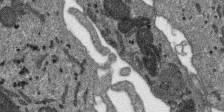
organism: Human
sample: Lung epithelial cells infected with SARS-CoV-2